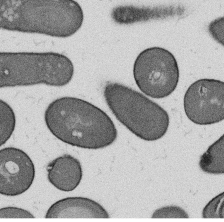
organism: B. subtilis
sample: Bacterial spore